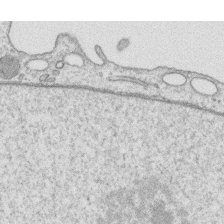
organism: Human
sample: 1205lu cells